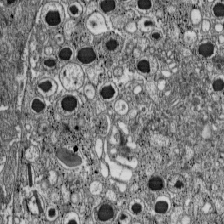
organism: C57BL Mouse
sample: Pancreatic islet